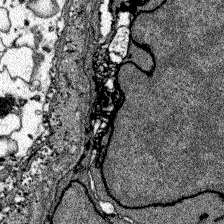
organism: Zebrafish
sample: Larval olfactory bulb